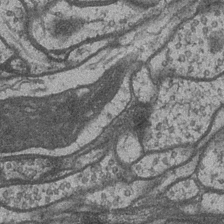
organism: Drosophila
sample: Optic medulla